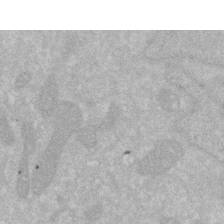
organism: Human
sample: HIV infected U937 cells